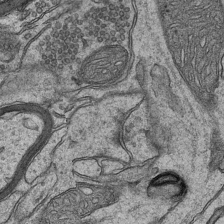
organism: Mouse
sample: CA1 Hippocampus